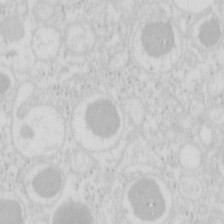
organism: Mouse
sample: Pancreas